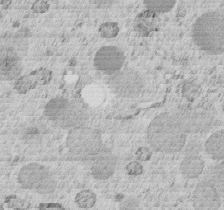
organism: C. elegans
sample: C. elegans embryo early stage